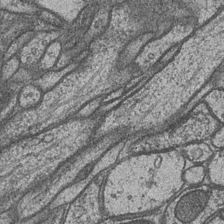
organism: Drosophila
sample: Optic medulla